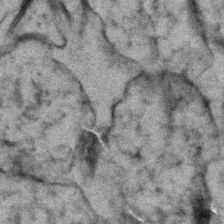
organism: Zebrafish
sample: Zebrafish embryo